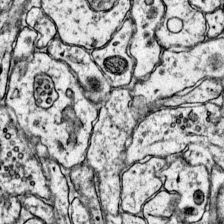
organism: Mouse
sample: Primary visual cortex